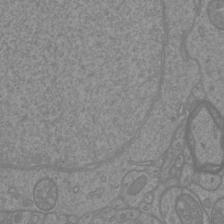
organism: Mouse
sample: Cortical neurons